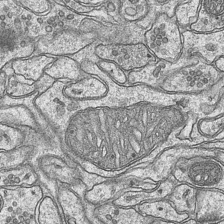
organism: Mouse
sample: CA1 Hippocampus